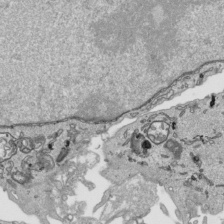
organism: Human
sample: Mitochondria in HCT116 cells